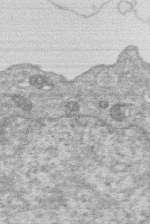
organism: Human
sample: Macrophage cells